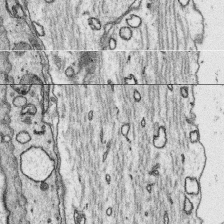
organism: Platynereis dumerilii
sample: Parapodia